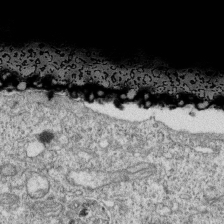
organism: Human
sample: HeLa cell HIV synapse